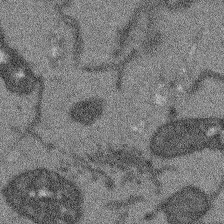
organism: Arabidopsis thaliana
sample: Root tip